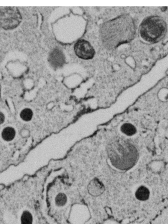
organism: C. elegans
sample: C. elegans embryo early stage